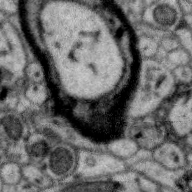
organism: Zebra finch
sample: Brain